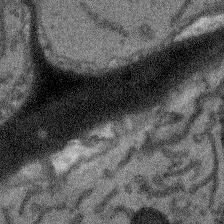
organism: Arabidopsis thaliana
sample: Root tip